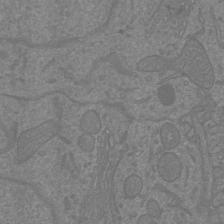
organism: Mouse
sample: Cortical neurons